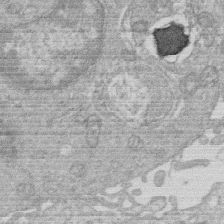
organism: Human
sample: Macrophage cells